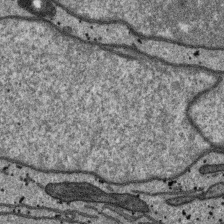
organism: Human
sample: Lung epithelial cells, uninfected (mock) control